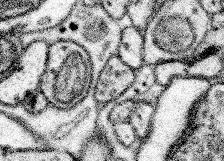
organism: Mouse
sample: Somatosensory cortex neuropil